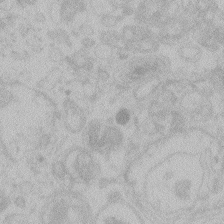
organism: Zebrafish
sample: Macrophage infected with Toxoplasma gondii